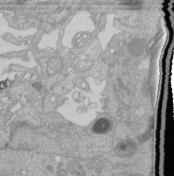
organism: Human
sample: Retinal organoid Rod and Cone cells